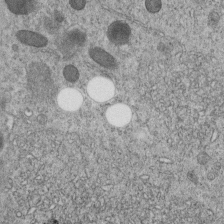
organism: C. elegans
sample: C. elegans embryo early stage